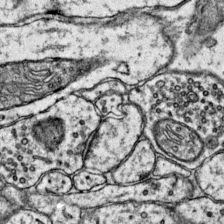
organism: Mouse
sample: Primary visual cortex